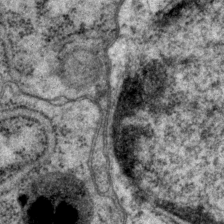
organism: P. pacificus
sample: Pharynx